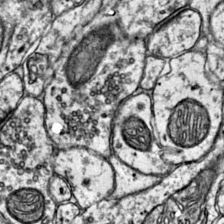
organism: Mouse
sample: Primary visual cortex